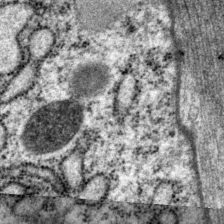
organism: P. pacificus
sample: Pharynx